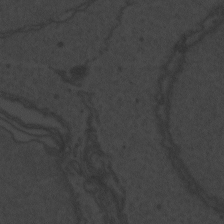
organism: Zebrafish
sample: Macrophage infected with Toxoplasma gondii